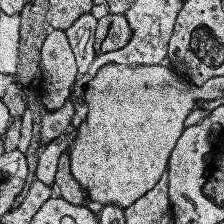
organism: Human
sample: Temporal Lobe